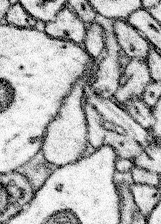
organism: Mouse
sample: Somatosensory cortex neuropil